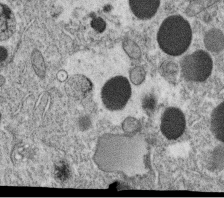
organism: C. elegans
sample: C. elegans oocyte; sperm cells